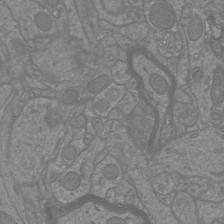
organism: Mouse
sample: Cortical neurons